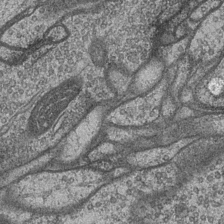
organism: Drosophila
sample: Optic medulla